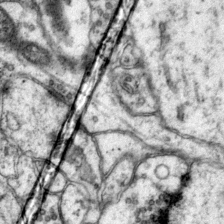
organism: Mouse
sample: Primary visual cortex